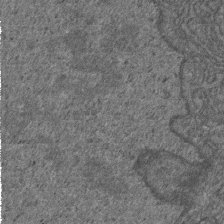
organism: Drosophila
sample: Nephrocyte